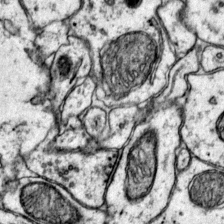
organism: Mouse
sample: Primary visual cortex